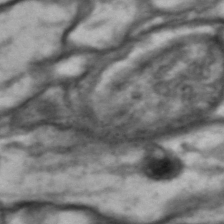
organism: Drosophila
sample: Brain